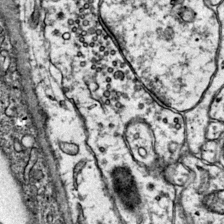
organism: Mouse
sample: Primary visual cortex